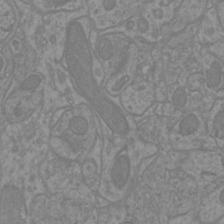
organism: Mouse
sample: Cortical neurons